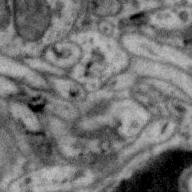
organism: Zebra finch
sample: Brain